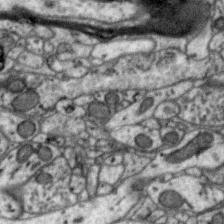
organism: Zebra finch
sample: Brain